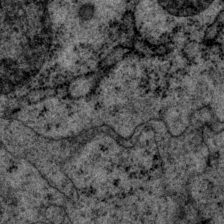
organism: P. pacificus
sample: Pharynx